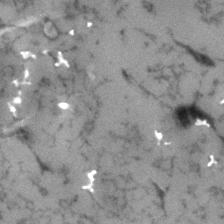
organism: Human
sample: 1205lu cells